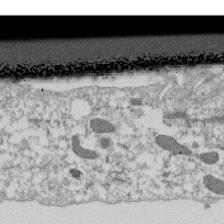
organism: Dictyostelium discoideum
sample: Dictyostelium multivesicular bodies